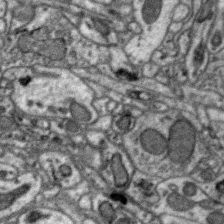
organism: Zebra finch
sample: Brain